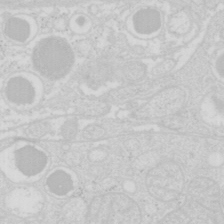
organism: Mouse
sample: Pancreas